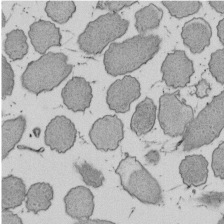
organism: E. coli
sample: Bacterial nucleoid